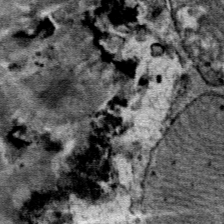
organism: Mouse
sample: Mouse Salivary gland